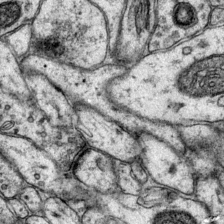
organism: Mouse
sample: Primary visual cortex